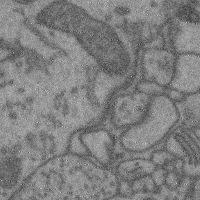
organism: Mouse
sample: Cerebral cortex